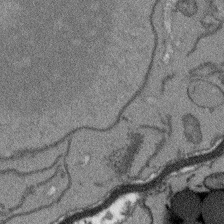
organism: Arabidopsis thaliana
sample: Root tip